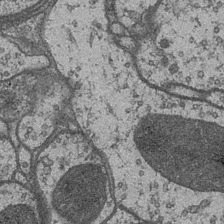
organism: Drosophila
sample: Optic medulla